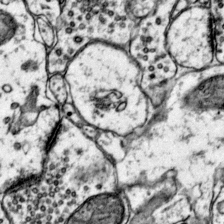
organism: Mouse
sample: Primary visual cortex